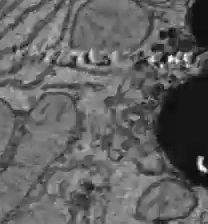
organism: C57BL Mouse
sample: Liver